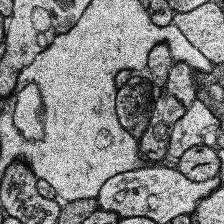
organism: Human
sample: Temporal Lobe